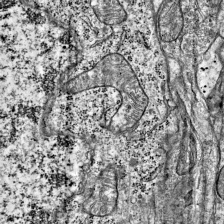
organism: Mouse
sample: Visual Cortex